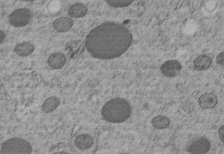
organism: C. elegans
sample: C. elegans embryo early stage